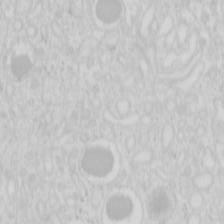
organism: Mouse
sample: Pancreas